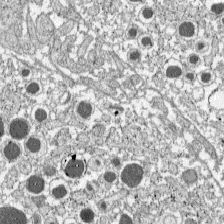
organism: C57BL Mouse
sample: Pancreatic islet